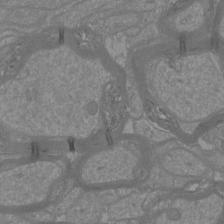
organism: Mouse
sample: Cortical neurons